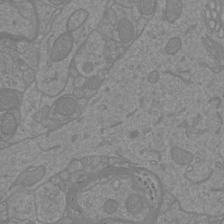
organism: Mouse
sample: Cortical neurons